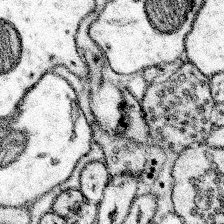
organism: Mouse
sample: Somatosensory cortex neuropil